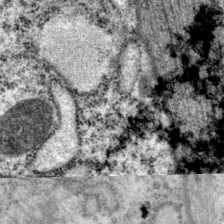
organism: P. pacificus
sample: Pharynx